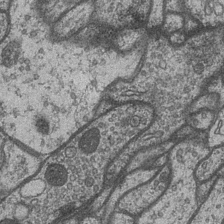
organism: Drosophila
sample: Optic medulla